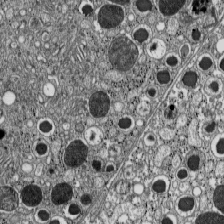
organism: C57BL Mouse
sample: Pancreatic islet